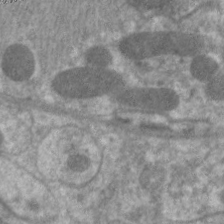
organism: C. elegans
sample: Pharynx